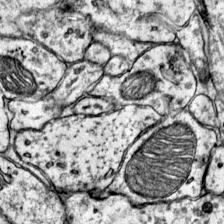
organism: Mouse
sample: Primary visual cortex